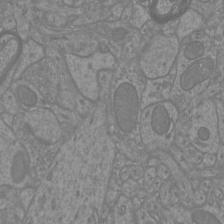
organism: Mouse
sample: Cortical neurons